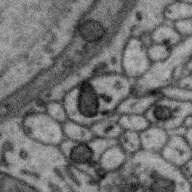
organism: Zebra finch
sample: Brain